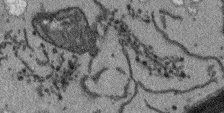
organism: Arabidopsis thaliana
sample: Root tip